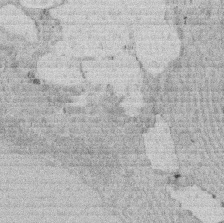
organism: Rat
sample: Salivary granule